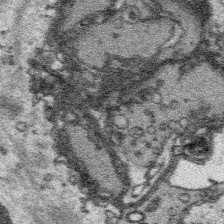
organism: Platynereis dumerilii